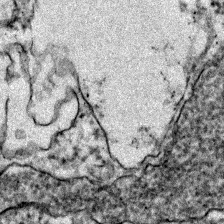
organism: Zebrafish